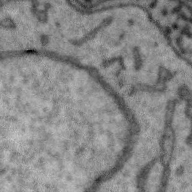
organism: Zebra finch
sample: Brain